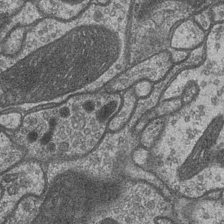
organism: Drosophila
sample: Optic medulla